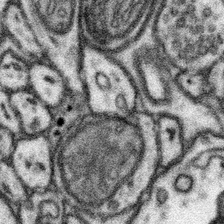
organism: Mouse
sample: Somatosensory cortex neuropil